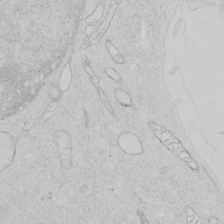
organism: Human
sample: Mitochondria in HCT116 cells